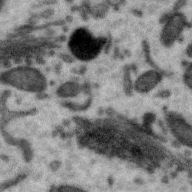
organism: Zebra finch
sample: Brain